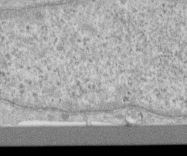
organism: Human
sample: Centriole in RPE cells